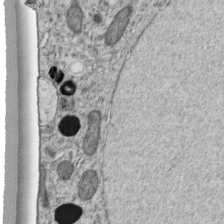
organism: C. elegans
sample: C. elegans embryo early stage